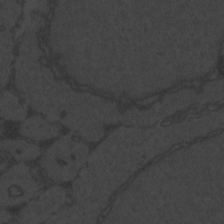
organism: Zebrafish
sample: Macrophage infected with Toxoplasma gondii